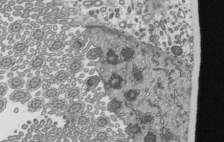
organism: Mouse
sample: Mouse epididymis efferent ductule cilia